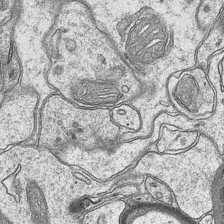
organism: Mouse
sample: CA1 Hippocampus